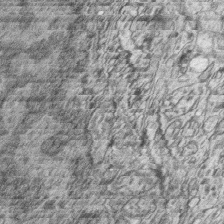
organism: Zebrafish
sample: synaptic ribbons in rod cells and cone cells